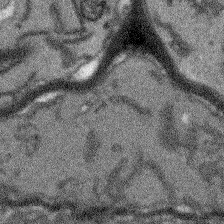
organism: Arabidopsis thaliana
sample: Root tip